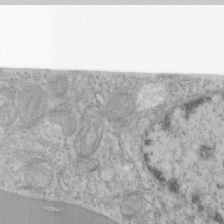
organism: Human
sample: HeLa cells